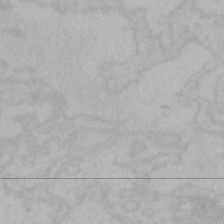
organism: Mouse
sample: Choroid plexus